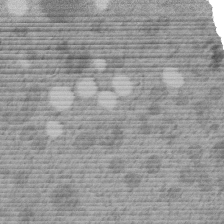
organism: C. elegans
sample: C. elegans embryo early stage